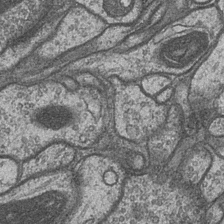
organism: Drosophila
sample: Optic medulla